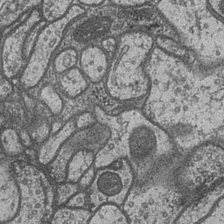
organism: Drosophila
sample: Optic medulla